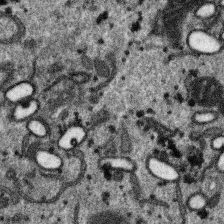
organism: Human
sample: Lung epithelial cells infected with SARS-CoV-2